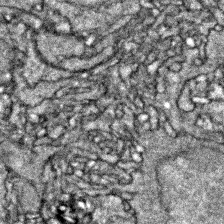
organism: Zebrafish